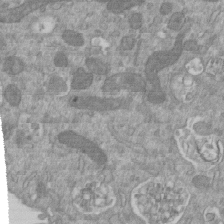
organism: Mouse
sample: ED-1 cell nuclei; centrioles